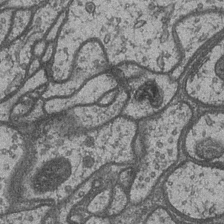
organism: Drosophila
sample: Optic medulla